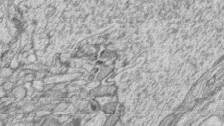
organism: Zebrafish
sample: synaptic ribbons in rod cells and cone cells